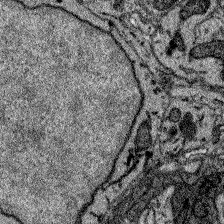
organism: Zebrafish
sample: Larval olfactory bulb